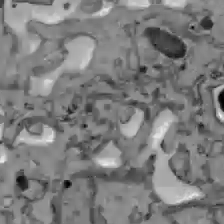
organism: C57BL Mouse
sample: Liver